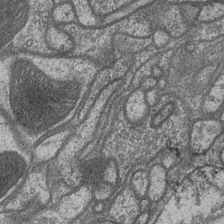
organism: Drosophila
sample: Optic medulla